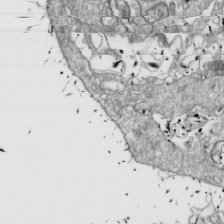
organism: Drosophila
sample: Cell division; meiosis; drosophila spermatocytes